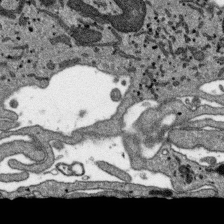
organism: Human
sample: Lung epithelial cells, uninfected (mock) control